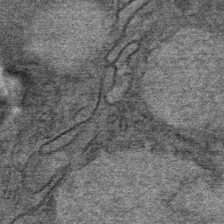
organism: Mouse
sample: Mouse Salivary gland